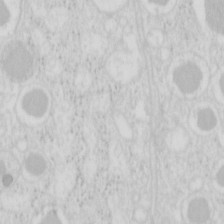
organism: Mouse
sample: Pancreas